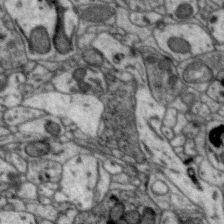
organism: Zebra finch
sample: Brain